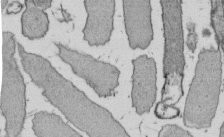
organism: E. coli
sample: Bacterial nucleoid